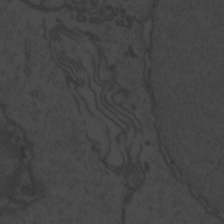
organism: Zebrafish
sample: Macrophage infected with Toxoplasma gondii